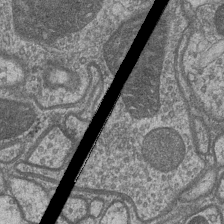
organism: Drosophila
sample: Optic medulla